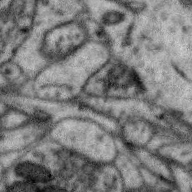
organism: Zebra finch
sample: Brain